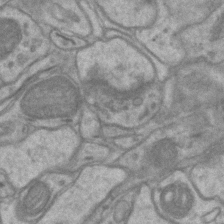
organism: Mouse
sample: CA1 Hippocampus